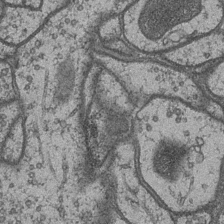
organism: Drosophila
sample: Optic medulla